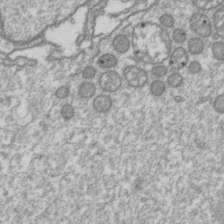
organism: Drosophila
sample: Cell division; meiosis; drosophila spermatocytes